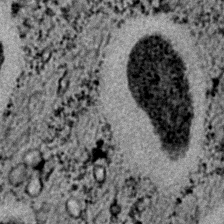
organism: C. elegans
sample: C. elegans embryo